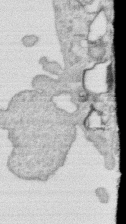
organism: Human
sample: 1205lu cells